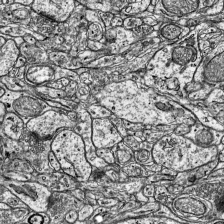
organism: Mouse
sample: Visual Cortex